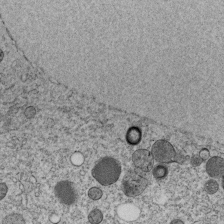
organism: C. elegans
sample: C. elegans embryo early stage